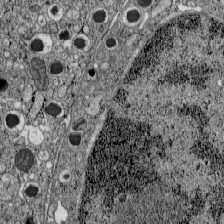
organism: C57BL Mouse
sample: Pancreatic islet